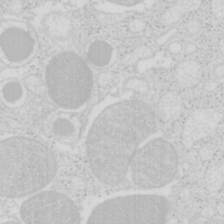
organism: Mouse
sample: Pancreas